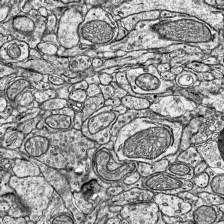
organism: Mouse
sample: Visual Cortex